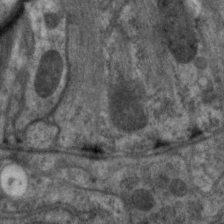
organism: C. elegans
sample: Pharynx